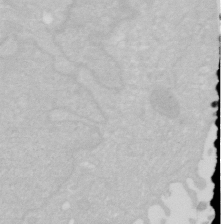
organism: Human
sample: HIV infected U937 cells